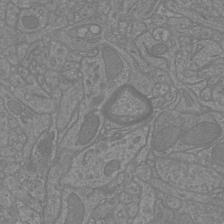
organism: Mouse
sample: Cortical neurons